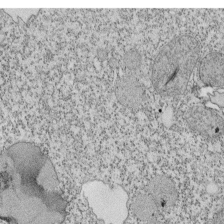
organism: Tetrahymena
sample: Cilia in tetrahymena